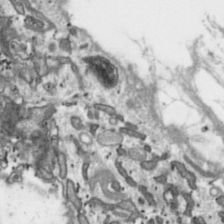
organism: Toxoplasma gondii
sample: Parasites in a vacuole inside a host cell